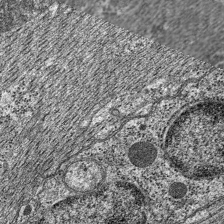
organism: C. elegans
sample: Pharynx